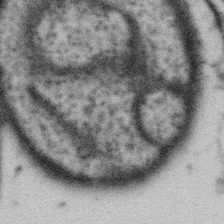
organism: Gemmata obscuriglobus